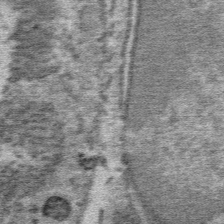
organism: Mouse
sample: Mouse Salivary gland